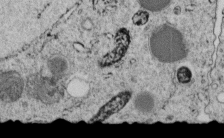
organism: C. elegans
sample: C. elegans embryo early stage